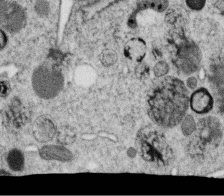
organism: C. elegans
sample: C. elegans oocyte; sperm cells